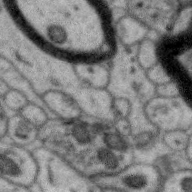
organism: Zebra finch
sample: Brain